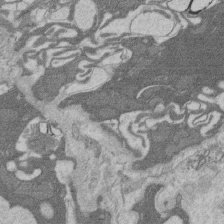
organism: Rat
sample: Salivary granule